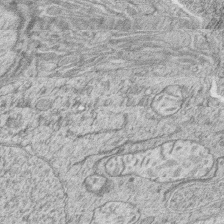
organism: Zebrafish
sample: synaptic ribbons in rod cells and cone cells